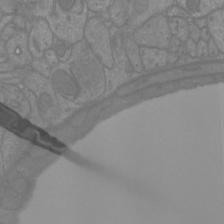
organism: Mouse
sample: Cortical neurons